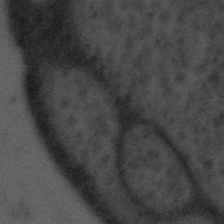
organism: Tuwongella immobilis